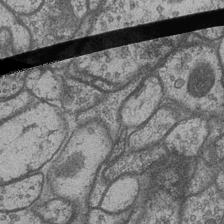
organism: Drosophila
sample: Optic medulla